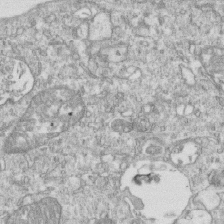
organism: Mouse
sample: Activated OT-1 CD8+ T cells